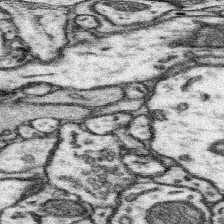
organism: Mouse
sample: Somatosensory cortex neuropil